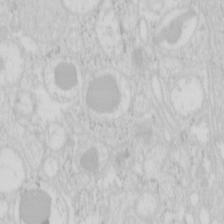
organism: Mouse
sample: Pancreas